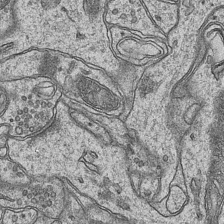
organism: Mouse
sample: CA1 Hippocampus